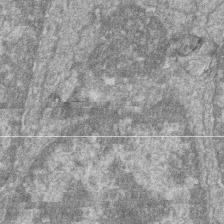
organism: Zebrafish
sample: Cilia; retinal pigment epithelium